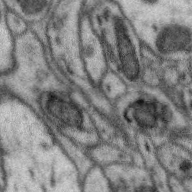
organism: Zebra finch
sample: Brain